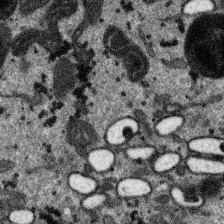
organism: Human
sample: Lung epithelial cells infected with SARS-CoV-2